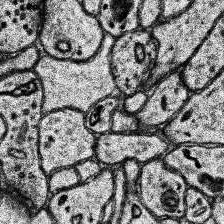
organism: Human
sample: Temporal Lobe